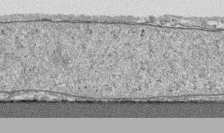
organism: Human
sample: CRL-1474